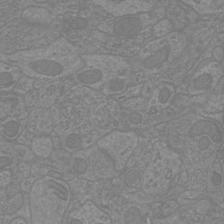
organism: Mouse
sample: Cortical neurons